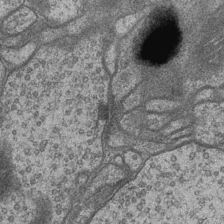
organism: Drosophila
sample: Optic medulla